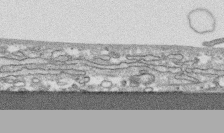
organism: Human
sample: CRL-1474